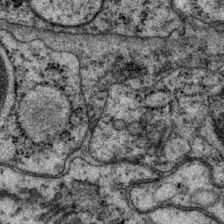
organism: P. pacificus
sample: Pharynx